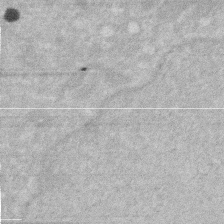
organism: Human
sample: HIV infected U937 cells